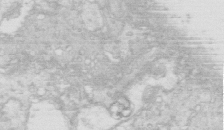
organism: Mouse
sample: Multiciliated cells